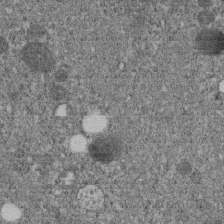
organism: C. elegans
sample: C. elegans embryo early stage